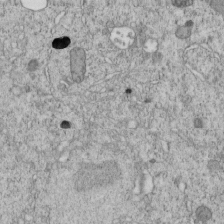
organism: C. elegans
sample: C. elegans embryo early stage